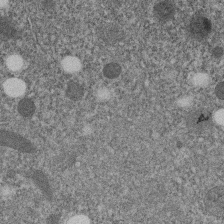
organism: C. elegans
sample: C. elegans embryo early stage